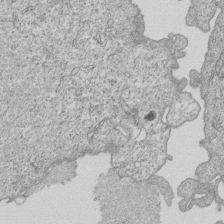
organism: Human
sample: MDA-MB-231 cells